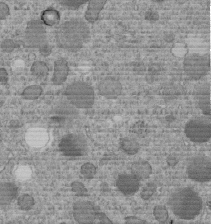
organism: C. elegans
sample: C. elegans embryo early stage